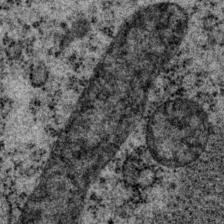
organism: P. pacificus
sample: Pharynx